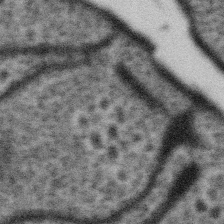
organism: Gemmata obscuriglobus